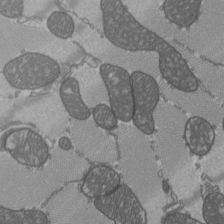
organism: C57BL Mouse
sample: Heart